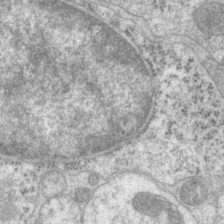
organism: P. pacificus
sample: Pharynx